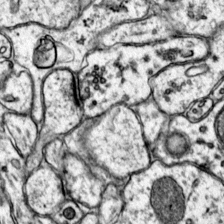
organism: Mouse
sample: Primary visual cortex